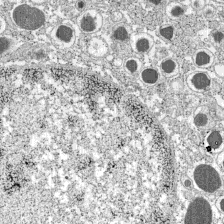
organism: C57BL Mouse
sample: Pancreatic islet